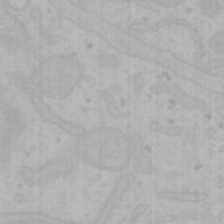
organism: Mouse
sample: Choroid plexus